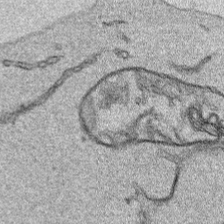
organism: Human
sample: Mitochondria in HCT116 cells